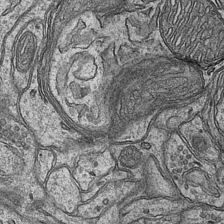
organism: Mouse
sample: CA1 Hippocampus